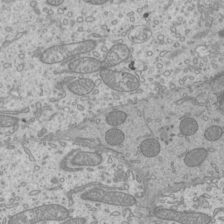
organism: Mouse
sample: Cilia; mouse epididymis